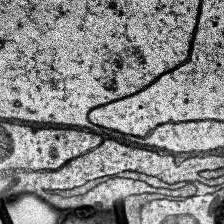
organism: Human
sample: Temporal Lobe